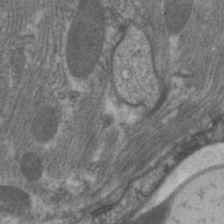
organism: C. elegans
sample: Pharynx